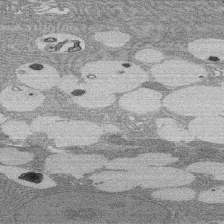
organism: Rat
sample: Salivary granule